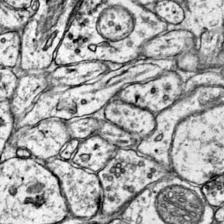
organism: Mouse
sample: Primary visual cortex